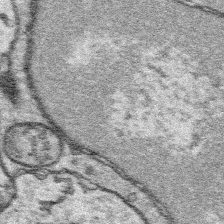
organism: Platynereis dumerilii